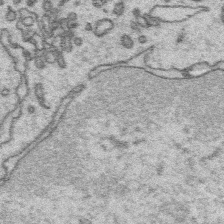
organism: Platynereis dumerilii